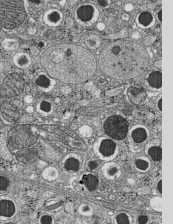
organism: C57BL Mouse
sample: Pancreatic islet